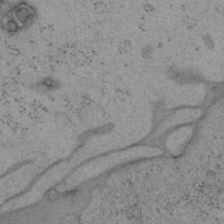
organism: Mouse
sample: OT-I killer T cells with ID8 ovarian cancer cells